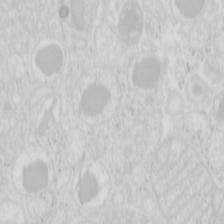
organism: Mouse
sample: Pancreas